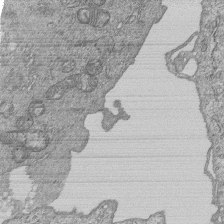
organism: Human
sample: MDA-MB-231 cells